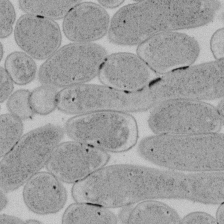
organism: E. coli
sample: Bacterial nucleoid